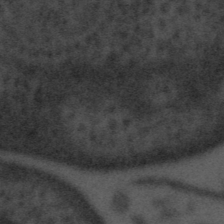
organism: Tuwongella immobilis